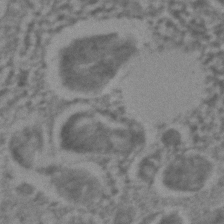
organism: C. elegans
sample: C. elegans embryo